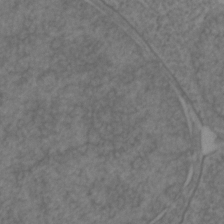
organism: Zebrafish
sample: Zebrafish embryo